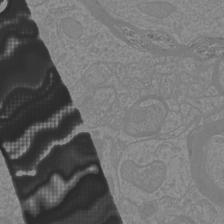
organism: Mouse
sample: Cortical neurons